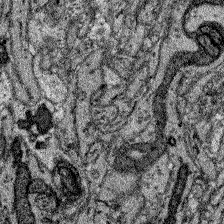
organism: Zebrafish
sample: Larval olfactory bulb